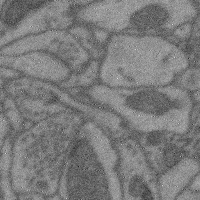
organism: Mouse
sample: Cerebral cortex